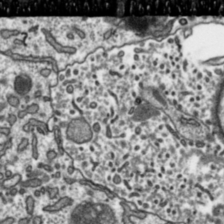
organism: Toxoplasma gondii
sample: Parasites in a vacuole inside a host cell